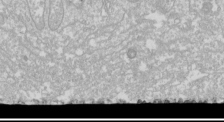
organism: Drosophila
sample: Cell division; meiosis; drosophila spermatocytes